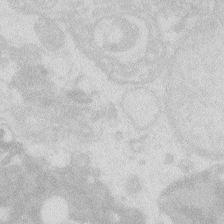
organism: Zebrafish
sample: Macrophage